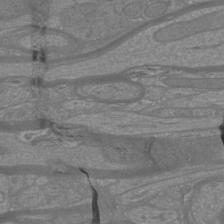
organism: Mouse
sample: Cortical neurons